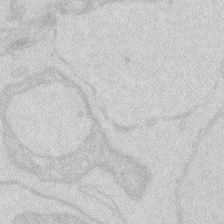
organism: Zebrafish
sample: Macrophage